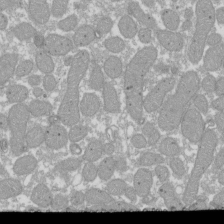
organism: Xenopus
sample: Cilia; centrioles in frog embryo cells